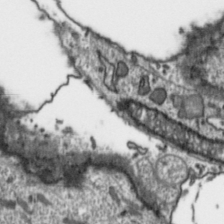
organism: Toxoplasma gondii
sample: Parasites in a vacuole inside a host cell